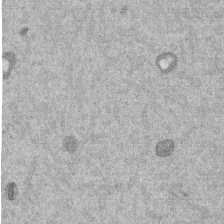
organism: Mouse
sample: Dividing mouse embryo 1 cell stage